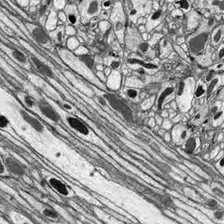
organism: Drosophila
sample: Optic lobe